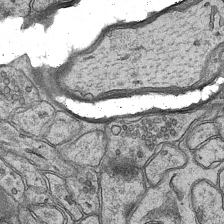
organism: Mouse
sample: CA1 Hippocampus